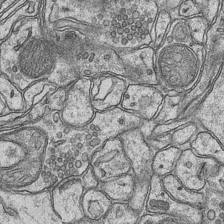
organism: Mouse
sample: CA1 Hippocampus